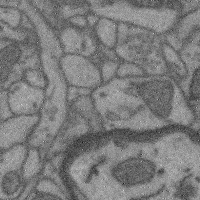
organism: Mouse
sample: Cerebral cortex